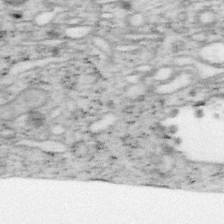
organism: Mouse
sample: OT-I killer T cells with ID8 ovarian cancer cells